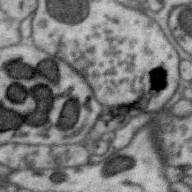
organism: Zebra finch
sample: Brain